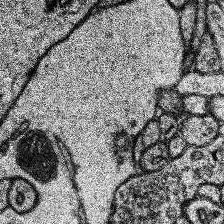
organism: Human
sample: Temporal Lobe